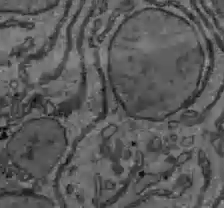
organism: C57BL Mouse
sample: Liver